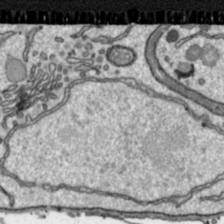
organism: Toxoplasma gondii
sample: Parasites in a vacuole inside a host cell